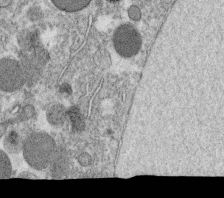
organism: C. elegans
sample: C. elegans oocyte; sperm cells